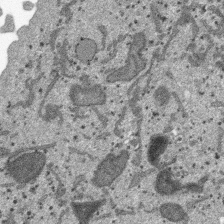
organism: Human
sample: Lung epithelial cells infected with SARS-CoV-2